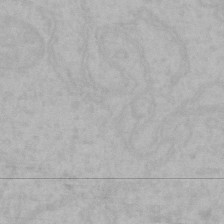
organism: Mouse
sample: Choroid plexus